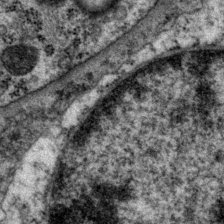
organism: P. pacificus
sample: Pharynx